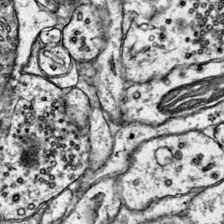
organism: Mouse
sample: Primary visual cortex